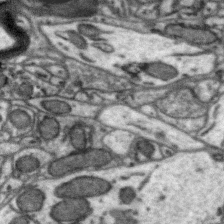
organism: Zebra finch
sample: Brain